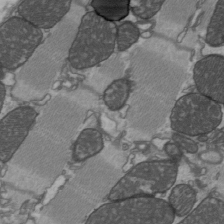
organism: C57BL Mouse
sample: Heart